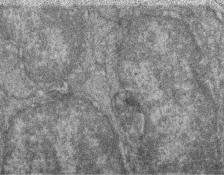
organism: Zebrafish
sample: Cilia; retinal pigment epithelium